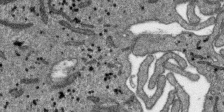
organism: Human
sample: Lung epithelial cells, uninfected (mock) control